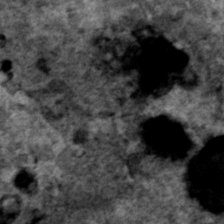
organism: Human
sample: Mitochondria in HCT116 cells